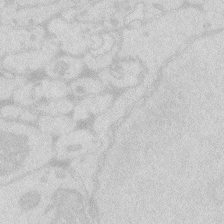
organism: Zebrafish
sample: Macrophage